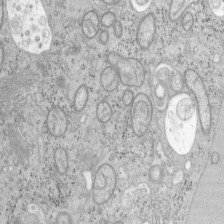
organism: Mouse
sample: OT-I killer T cells with ID8 ovarian cancer cells